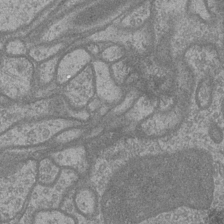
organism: Drosophila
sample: Optic medulla